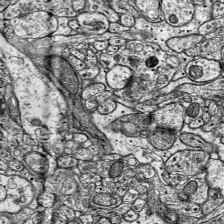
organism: Mouse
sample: Visual Cortex